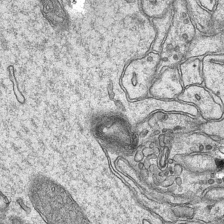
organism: Mouse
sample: CA1 Hippocampus